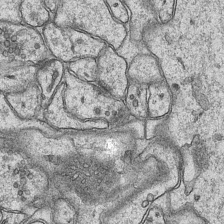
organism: Mouse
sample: CA1 Hippocampus